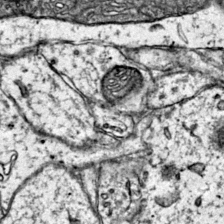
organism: Mouse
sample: Primary visual cortex